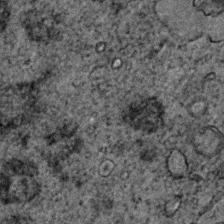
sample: Trachea